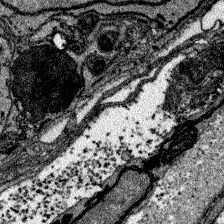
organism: Zebrafish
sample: Larval olfactory bulb